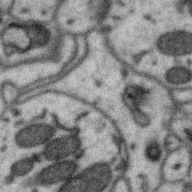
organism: Zebra finch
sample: Brain